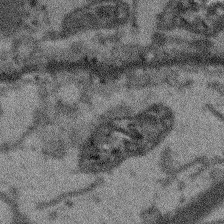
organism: Arabidopsis thaliana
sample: Root tip